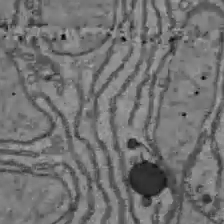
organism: C57BL Mouse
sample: Liver